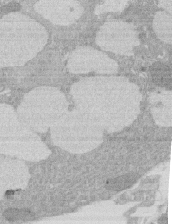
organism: Rat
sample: Salivary granule